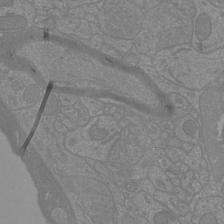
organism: Mouse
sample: Cortical neurons